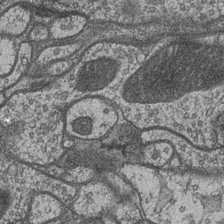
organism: Drosophila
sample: Optic medulla